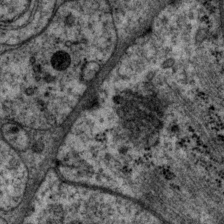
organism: P. pacificus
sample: Pharynx